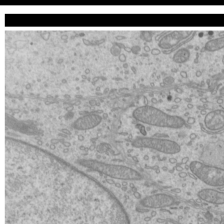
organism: Mouse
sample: Cilia; mouse epididymis